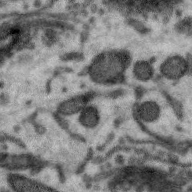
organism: Zebra finch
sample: Brain